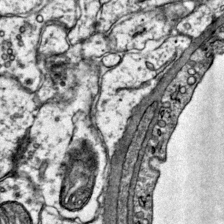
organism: Mouse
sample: Primary visual cortex